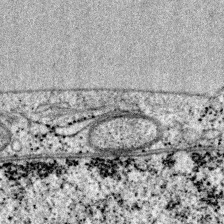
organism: Human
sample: HeLa cells